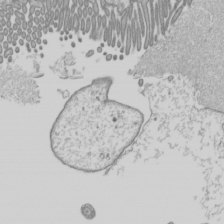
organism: Mouse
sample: Cilia; mouse epididymis